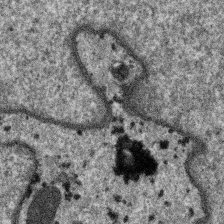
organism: Human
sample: Lung epithelial cells infected with SARS-CoV-2